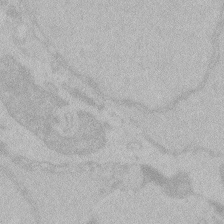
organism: Zebrafish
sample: Macrophage infected with Toxoplasma gondii